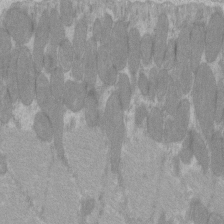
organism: C57BL Mouse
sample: Tibialis anterior muscle cell